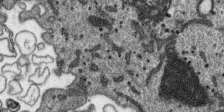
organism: Human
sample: Lung epithelial cells infected with SARS-CoV-2